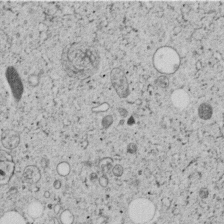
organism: C. elegans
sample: C. elegans embryo early stage